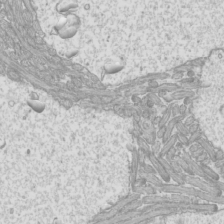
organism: Mouse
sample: Cilia; mouse epididymis